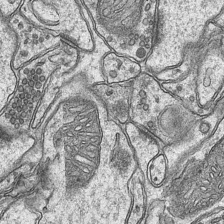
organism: Mouse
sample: CA1 Hippocampus